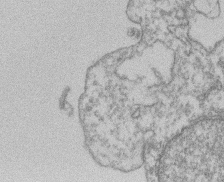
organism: Mouse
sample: T cell stromal cell synapse